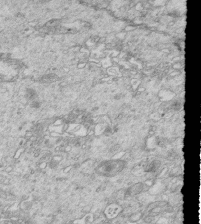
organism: Mouse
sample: Multiciliated cells